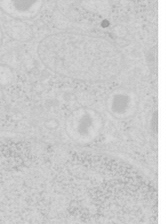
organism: Mouse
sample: Pancreas